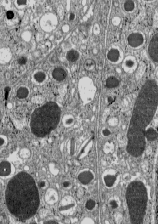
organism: C57BL Mouse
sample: Pancreatic islet